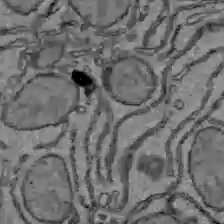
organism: C57BL Mouse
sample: Liver